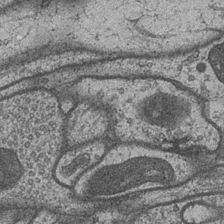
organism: Drosophila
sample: Optic medulla